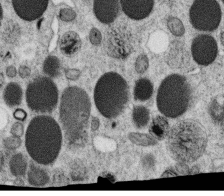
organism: C. elegans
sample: C. elegans oocyte; sperm cells